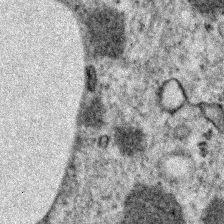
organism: Zebrafish